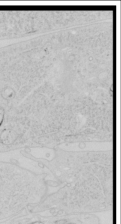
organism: Human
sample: Mitochondria in HCT116 cells